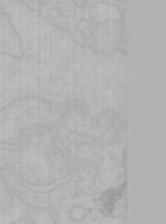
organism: Mouse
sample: Choroid plexus